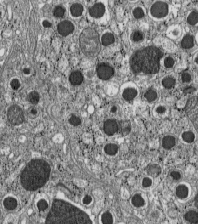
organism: C57BL Mouse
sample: Pancreatic islet